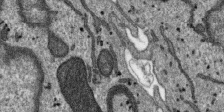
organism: Human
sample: Lung epithelial cells, uninfected (mock) control